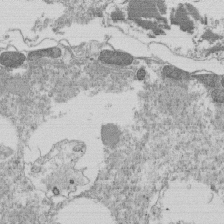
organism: Tetrahymena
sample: Cilia in tetrahymena